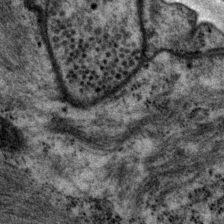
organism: P. pacificus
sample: Pharynx